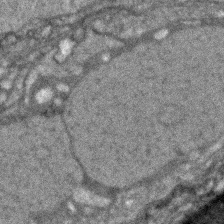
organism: Zebrafish